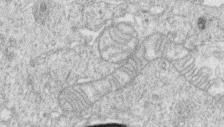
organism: Human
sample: HeLa cell HIV synapse